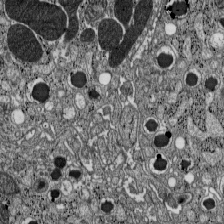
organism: C57BL Mouse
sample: Pancreatic islet